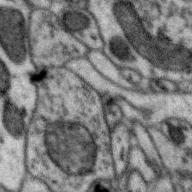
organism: Zebra finch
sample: Brain